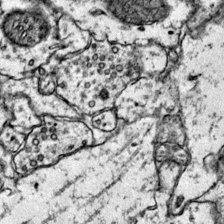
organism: Mouse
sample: Primary visual cortex